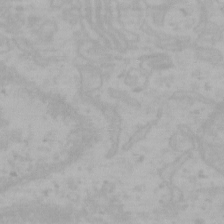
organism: Mouse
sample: Choroid plexus